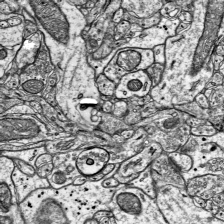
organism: Mouse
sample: Visual Cortex